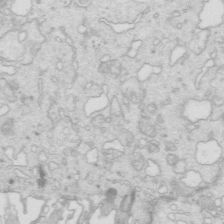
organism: Mouse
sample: Multiciliated cells